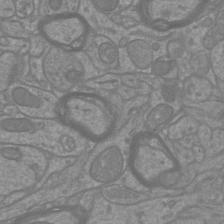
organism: Mouse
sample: Cortical neurons